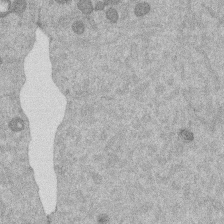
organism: Mouse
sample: Dividing mouse embryo 1 cell stage